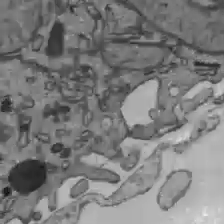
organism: C57BL Mouse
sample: Liver